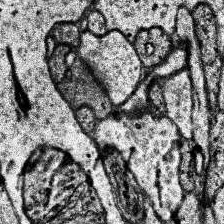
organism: Human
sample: Temporal Lobe